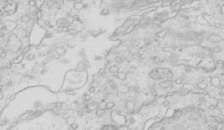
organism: Mouse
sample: Multiciliated cells